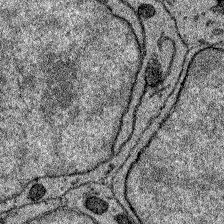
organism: Zebrafish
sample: Larval olfactory bulb